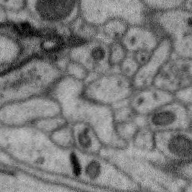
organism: Zebra finch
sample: Brain